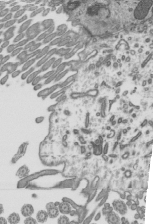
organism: Mouse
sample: Mouse epididymis efferent ductule cilia